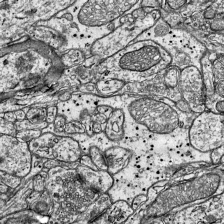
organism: Mouse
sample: Visual Cortex